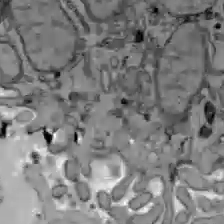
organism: C57BL Mouse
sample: Liver